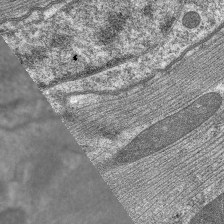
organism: C. elegans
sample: Pharynx